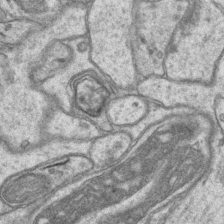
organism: Mouse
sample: CA1 Hippocampus